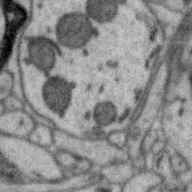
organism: Zebra finch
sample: Brain